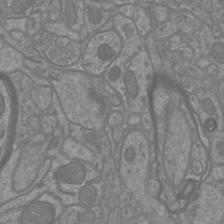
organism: Mouse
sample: Cortical neurons